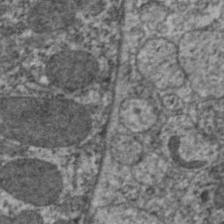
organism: C. elegans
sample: Pharynx